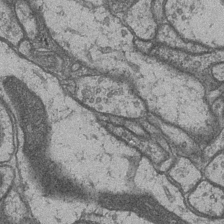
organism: Drosophila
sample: Optic medulla